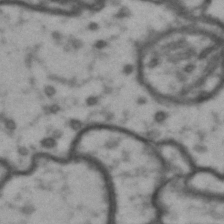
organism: Drosophila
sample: Brain